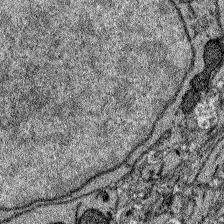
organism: Zebrafish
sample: Larval olfactory bulb